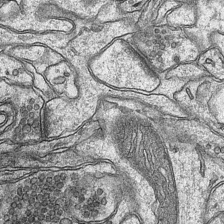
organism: Mouse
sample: CA1 Hippocampus